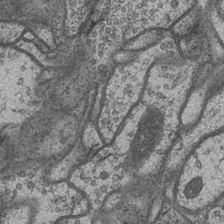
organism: Drosophila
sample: Optic medulla